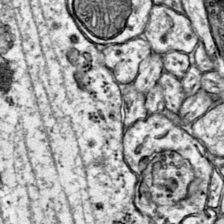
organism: Mouse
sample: Primary visual cortex